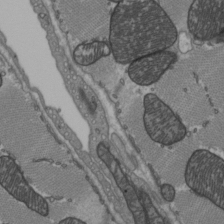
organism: C57BL Mouse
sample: Heart